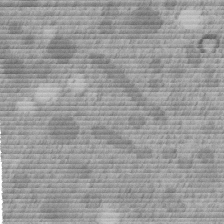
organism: C. elegans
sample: C. elegans embryo early stage